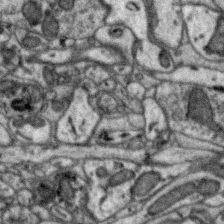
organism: Zebra finch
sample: Brain